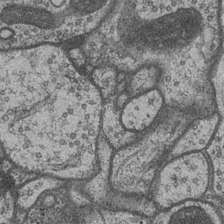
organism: Drosophila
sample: Optic medulla